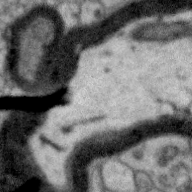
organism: Zebra finch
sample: Brain